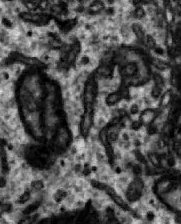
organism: Human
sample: HeLa cells